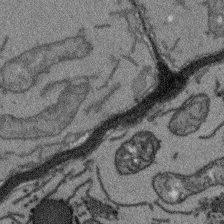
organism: Arabidopsis thaliana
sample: Root tip